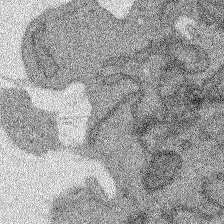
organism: Human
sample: HeLa cells